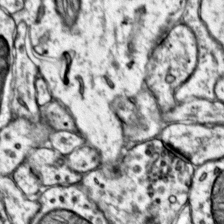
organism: Mouse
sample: Primary visual cortex